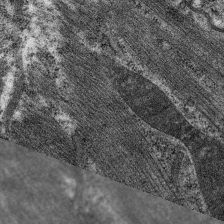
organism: C. elegans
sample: Pharynx